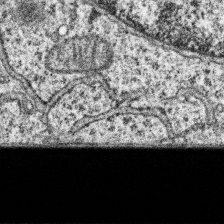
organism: Human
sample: HeLa cells